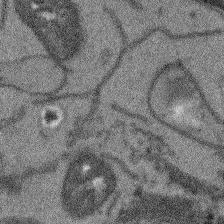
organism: Arabidopsis thaliana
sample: Root tip